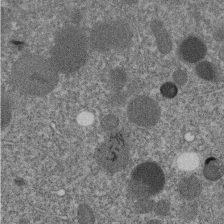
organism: C. elegans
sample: C. elegans embryo early stage